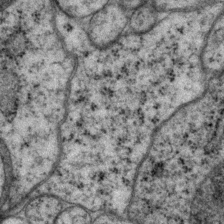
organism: P. pacificus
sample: Pharynx